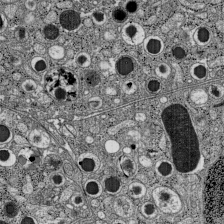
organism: C57BL Mouse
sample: Pancreatic islet